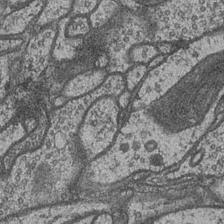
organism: Drosophila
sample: Optic medulla